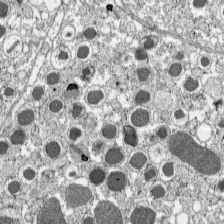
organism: C57BL Mouse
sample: Pancreatic islet